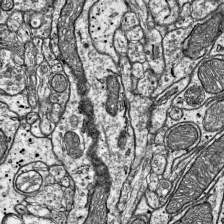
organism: Mouse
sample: Visual Cortex